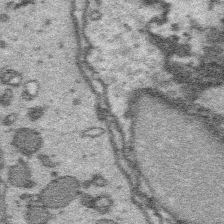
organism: Platynereis dumerilii